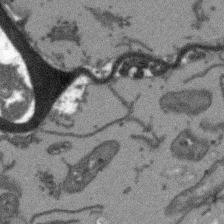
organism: Arabidopsis thaliana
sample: Root tip